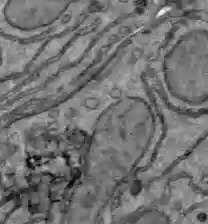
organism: C57BL Mouse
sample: Liver